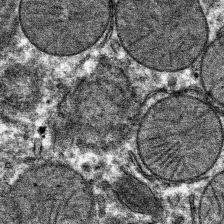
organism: Mouse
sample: Mouse hepatocytes